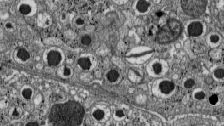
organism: C57BL Mouse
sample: Pancreatic islet